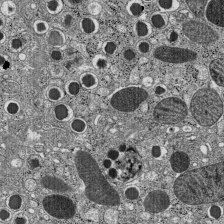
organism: C57BL Mouse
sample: Pancreatic islet